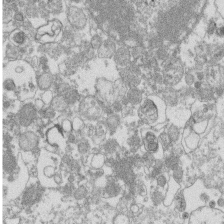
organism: Human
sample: HeLa cell HIV synapse